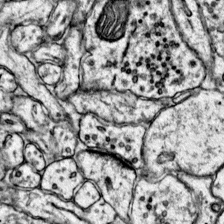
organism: Mouse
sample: Primary visual cortex